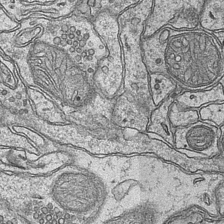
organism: Mouse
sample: CA1 Hippocampus